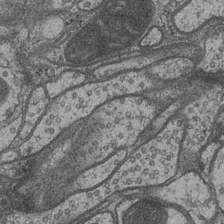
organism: Drosophila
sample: Optic medulla